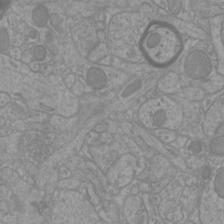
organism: Mouse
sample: Cortical neurons